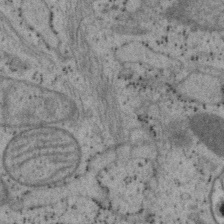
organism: Human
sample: HeLa cells